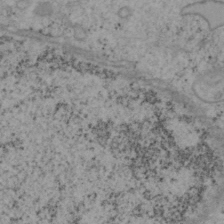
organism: Human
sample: HeLa cells